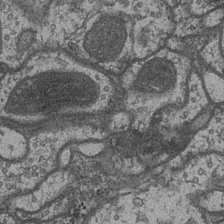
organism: Drosophila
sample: Optic medulla